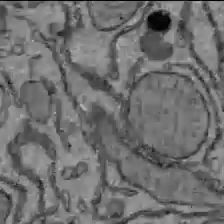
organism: C57BL Mouse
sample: Liver